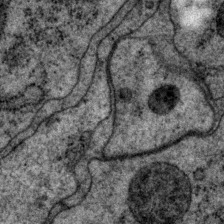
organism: P. pacificus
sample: Pharynx